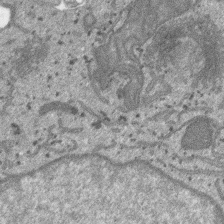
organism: Human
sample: Lung epithelial cells infected with SARS-CoV-2